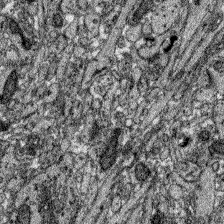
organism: Zebrafish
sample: Larval olfactory bulb